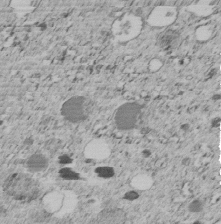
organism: C. elegans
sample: C. elegans embryo early stage